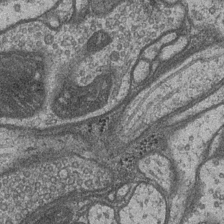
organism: Drosophila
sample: Optic medulla